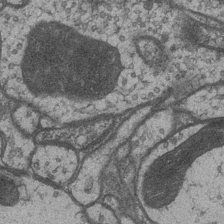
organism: Drosophila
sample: Optic medulla